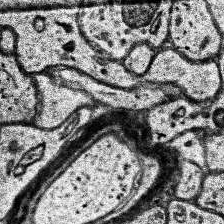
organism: Human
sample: Temporal Lobe